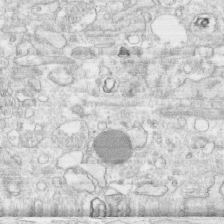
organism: Human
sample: CRL-1474